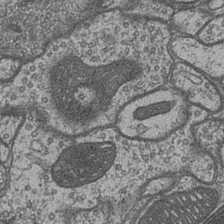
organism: Drosophila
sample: Optic medulla